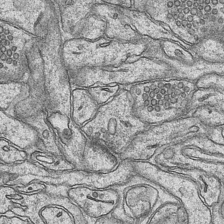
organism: Mouse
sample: CA1 Hippocampus